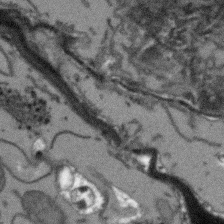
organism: Arabidopsis thaliana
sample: Root tip